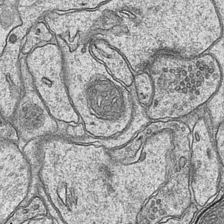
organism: Mouse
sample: CA1 Hippocampus